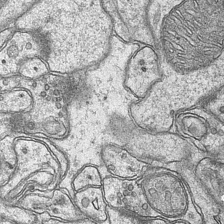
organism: Mouse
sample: CA1 Hippocampus